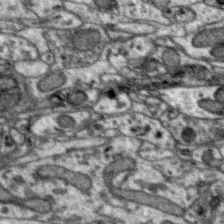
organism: Zebra finch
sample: Brain